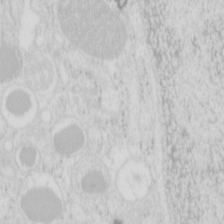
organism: Mouse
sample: Pancreas